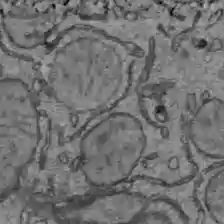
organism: C57BL Mouse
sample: Liver